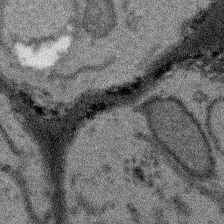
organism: Arabidopsis thaliana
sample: Root tip